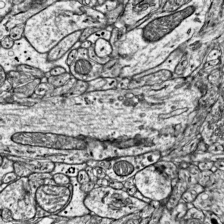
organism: Mouse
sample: Visual Cortex